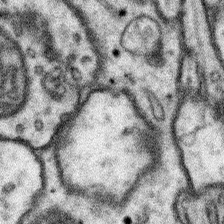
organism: Mouse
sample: Somatosensory cortex neuropil